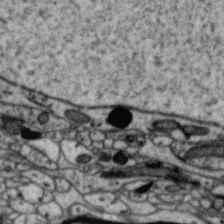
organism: Zebra finch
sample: Brain